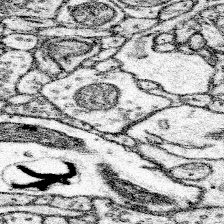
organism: Mouse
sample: Somatosensory cortex neuropil